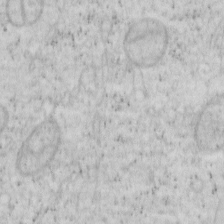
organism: Human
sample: HeLa cells